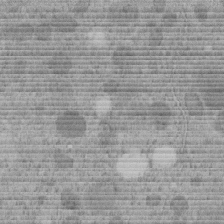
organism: C. elegans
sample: C. elegans embryo early stage